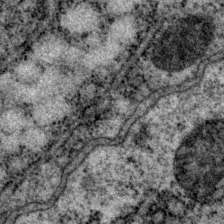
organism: P. pacificus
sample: Pharynx